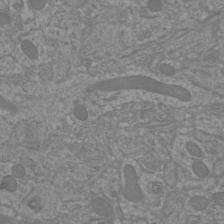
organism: Mouse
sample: Cortical neurons